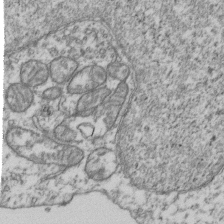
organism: Human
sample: Activated Jurkat CD4+ T cells